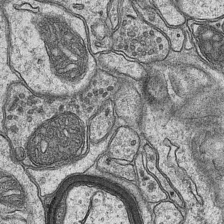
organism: Mouse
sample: CA1 Hippocampus